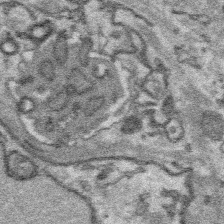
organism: Platynereis dumerilii